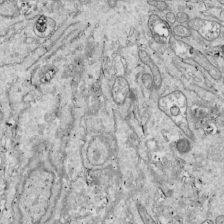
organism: Drosophila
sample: Cell division; meiosis; drosophila spermatocytes